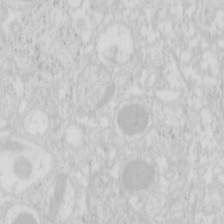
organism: Mouse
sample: Pancreas